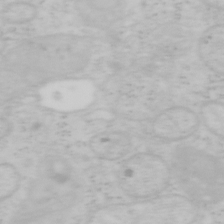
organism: Mouse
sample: OT-I killer T cells with ID8 ovarian cancer cells